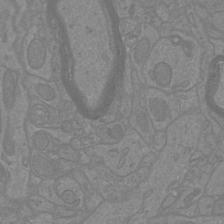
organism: Mouse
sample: Cortical neurons